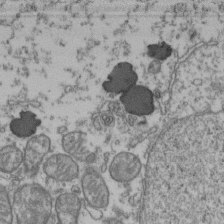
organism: Human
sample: Activated Jurkat CD4+ T cells